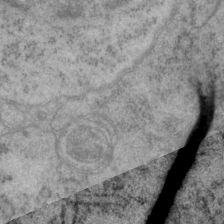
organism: P. pacificus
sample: Pharynx